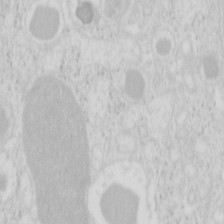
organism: Mouse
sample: Pancreas